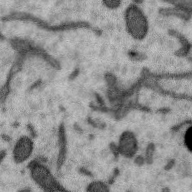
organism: Zebra finch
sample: Brain